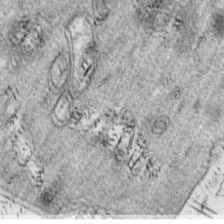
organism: Drosophila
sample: Cell division; meiosis; drosophila spermatocytes